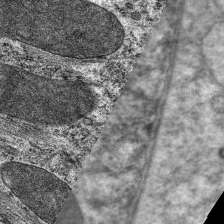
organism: C. elegans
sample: Pharynx